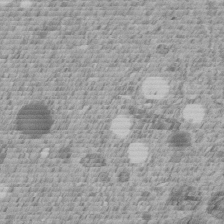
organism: C. elegans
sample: C. elegans embryo early stage